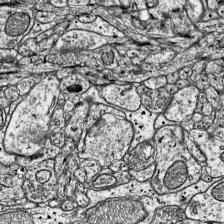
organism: Mouse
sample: Visual Cortex